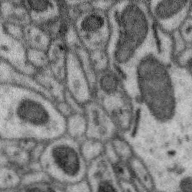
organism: Zebra finch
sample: Brain